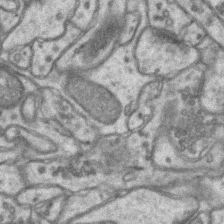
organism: Mouse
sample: CA1 Hippocampus